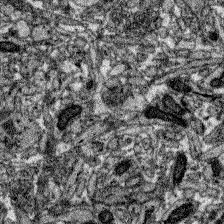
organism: Zebrafish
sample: Larval olfactory bulb